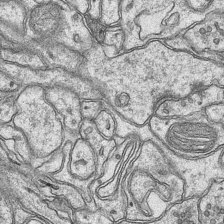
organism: Mouse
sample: CA1 Hippocampus